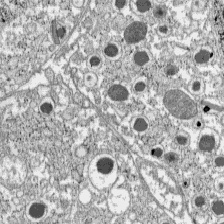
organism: C57BL Mouse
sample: Pancreatic islet